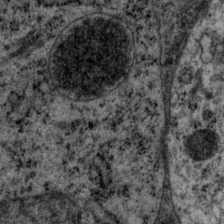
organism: P. pacificus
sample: Pharynx